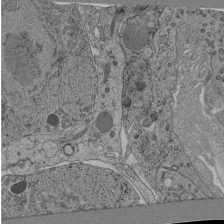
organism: C. elegans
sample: C. elegans pharynx